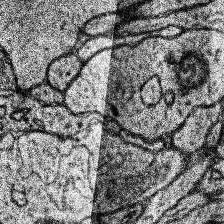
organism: Human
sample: Temporal Lobe